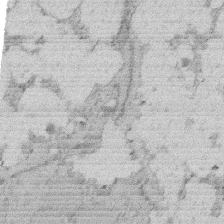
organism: Rat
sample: Salivary granule